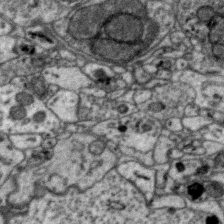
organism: Zebra finch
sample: Brain